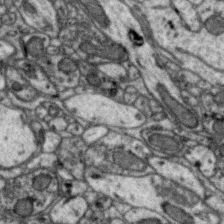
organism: Zebra finch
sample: Brain